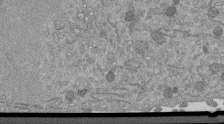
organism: Mouse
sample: ED-1 cell nuclei; centrioles